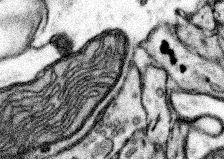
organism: Mouse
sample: Somatosensory cortex neuropil